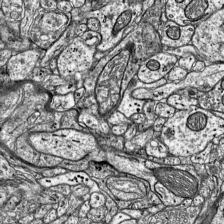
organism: Mouse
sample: Visual Cortex